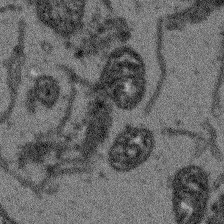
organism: Arabidopsis thaliana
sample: Root tip